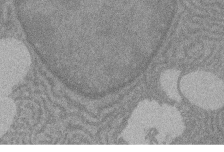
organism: Rat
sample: Salivary granule